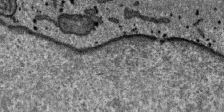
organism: Human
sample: Lung epithelial cells, uninfected (mock) control